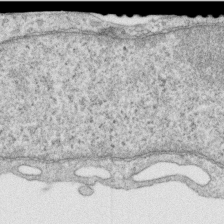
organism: Human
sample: Centriole in RPE cells